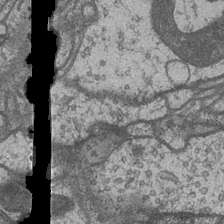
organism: Drosophila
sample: Optic medulla